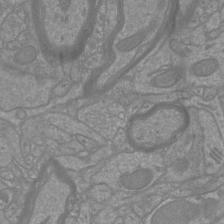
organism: Mouse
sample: Cortical neurons